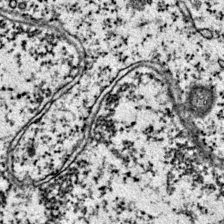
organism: Mouse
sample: Primary visual cortex